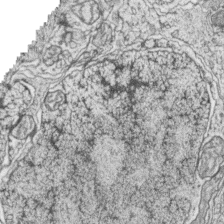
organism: Zebrafish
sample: synaptic ribbons in rod cells and cone cells